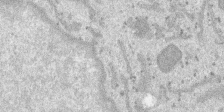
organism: Human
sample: Lung epithelial cells infected with SARS-CoV-2